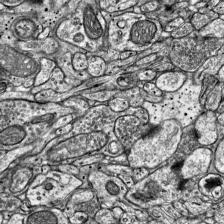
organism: Mouse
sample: Visual Cortex